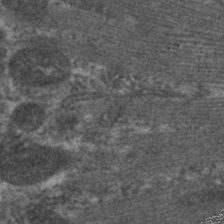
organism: C. elegans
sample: Pharynx